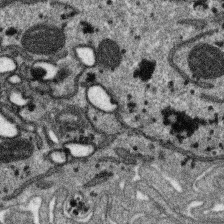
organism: Human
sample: Lung epithelial cells infected with SARS-CoV-2